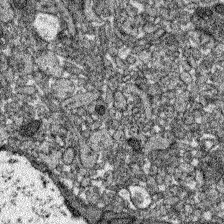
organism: Zebrafish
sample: Larval olfactory bulb